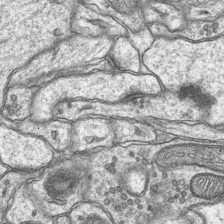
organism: Mouse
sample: CA1 Hippocampus